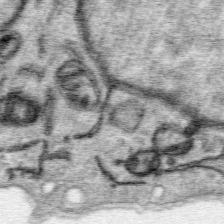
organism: Human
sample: HeLa cells